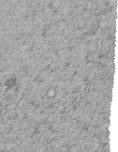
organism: C. elegans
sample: C. elegans embryo early stage